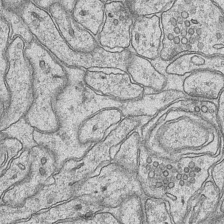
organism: Mouse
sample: CA1 Hippocampus